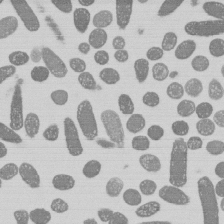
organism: E. coli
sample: Bacterial nucleoid